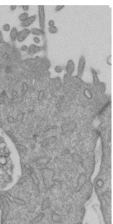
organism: Mouse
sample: ED-1 cell nuclei; centrioles